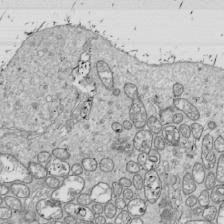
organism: Drosophila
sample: Cell division; meiosis; drosophila spermatocytes